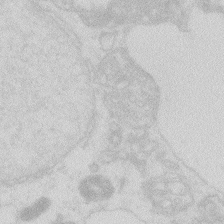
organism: Zebrafish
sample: Macrophage